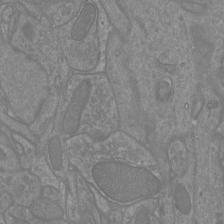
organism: Mouse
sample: Cortical neurons